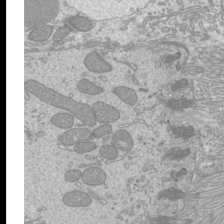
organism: Mouse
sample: Cilia; mouse epididymis